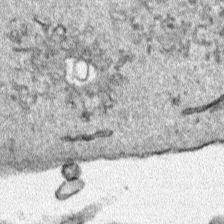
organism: Human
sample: Mitochondria in HCT116 cells